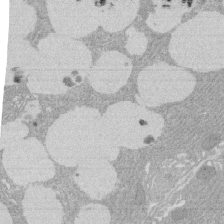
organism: Rat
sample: Salivary granule